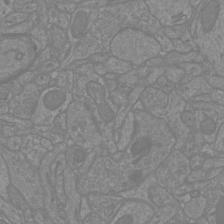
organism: Mouse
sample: Cortical neurons